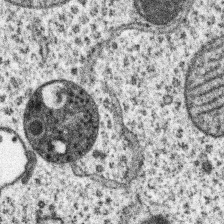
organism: Human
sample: HeLa cells